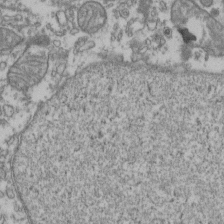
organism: Human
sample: Activated Jurkat CD4+ T cells